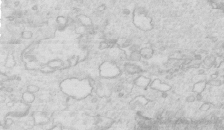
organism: Mouse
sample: Multiciliated cells